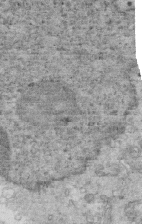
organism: Mouse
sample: Multiciliated cells